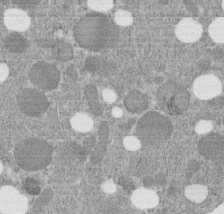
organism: C. elegans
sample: C. elegans embryo early stage